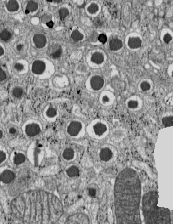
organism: C57BL Mouse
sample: Pancreatic islet